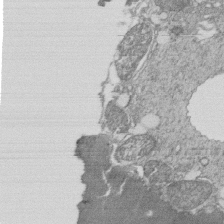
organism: Tetrahymena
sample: Cilia in tetrahymena